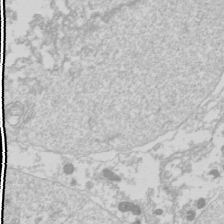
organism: Drosophila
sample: Cell division; meiosis; drosophila spermatocytes